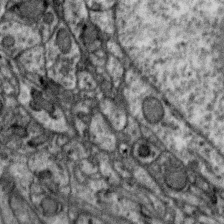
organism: Zebra finch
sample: Brain